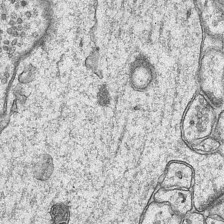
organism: Mouse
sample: CA1 Hippocampus